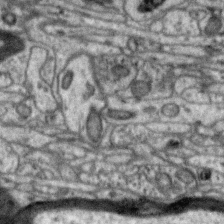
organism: Zebra finch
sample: Brain